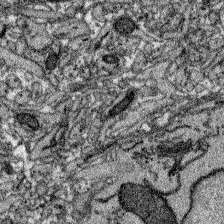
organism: Zebrafish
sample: Larval olfactory bulb